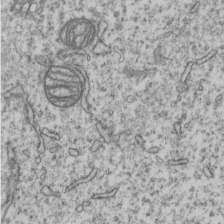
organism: Human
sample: MDA-MB-231 cells